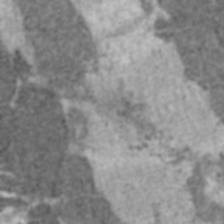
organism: C57BL Mouse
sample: Heart